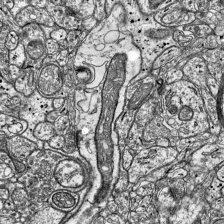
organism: Mouse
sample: Visual Cortex